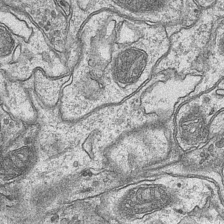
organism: Mouse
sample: CA1 Hippocampus